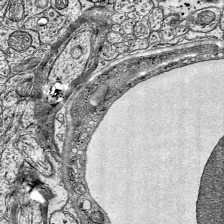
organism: Mouse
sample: Visual Cortex